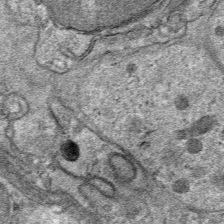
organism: Mouse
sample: Mouse Salivary gland